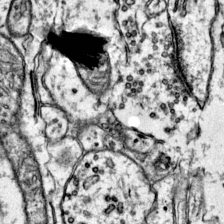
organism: Mouse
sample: Primary visual cortex